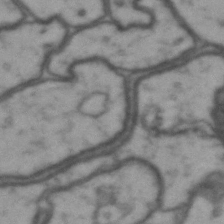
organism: Drosophila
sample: Brain